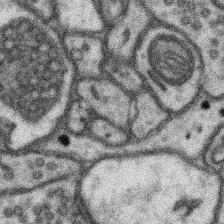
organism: Mouse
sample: Somatosensory cortex neuropil